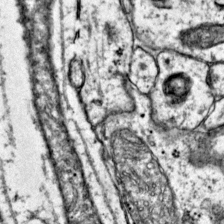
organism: Mouse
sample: Primary visual cortex